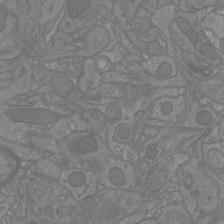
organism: Mouse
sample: Cortical neurons